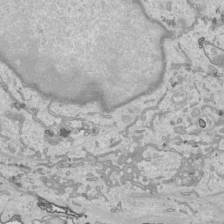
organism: Human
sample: Mitochondria in HCT116 cells